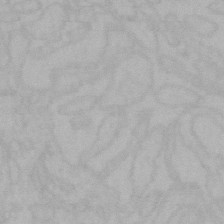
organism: Mouse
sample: Choroid plexus